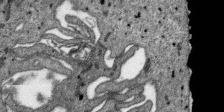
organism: Human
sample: Lung epithelial cells, uninfected (mock) control